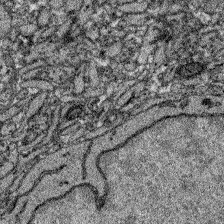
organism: Zebrafish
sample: Larval olfactory bulb